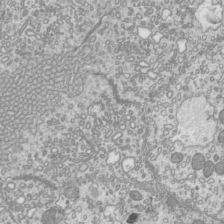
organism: Mouse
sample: Cilia; mouse epididymis